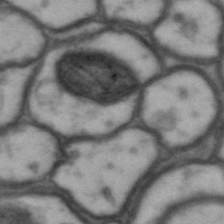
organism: Drosophila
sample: Brain